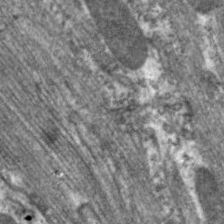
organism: C. elegans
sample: Pharynx